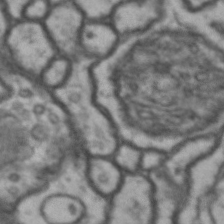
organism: Drosophila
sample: Brain